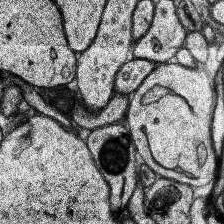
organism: Human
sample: Temporal Lobe